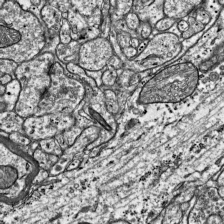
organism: Mouse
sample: Visual Cortex